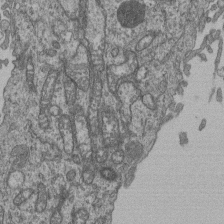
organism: Human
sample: Retinal organoid Rod and Cone cells